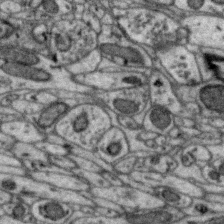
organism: Zebra finch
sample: Brain